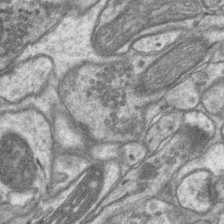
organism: Mouse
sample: CA1 Hippocampus